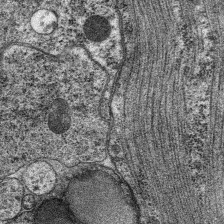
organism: C. elegans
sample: Pharynx